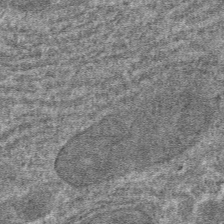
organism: Mouse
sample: Mouse hepatocytes